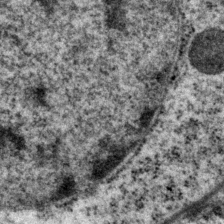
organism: P. pacificus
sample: Pharynx